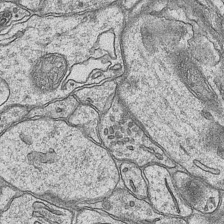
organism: Mouse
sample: CA1 Hippocampus